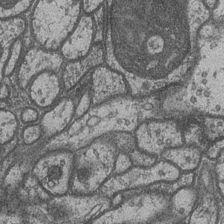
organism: Drosophila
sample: Optic medulla